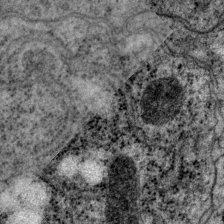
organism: P. pacificus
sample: Pharynx